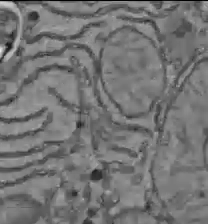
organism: C57BL Mouse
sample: Liver